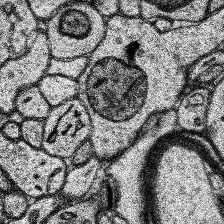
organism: Human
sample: Temporal Lobe